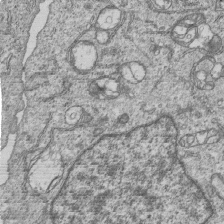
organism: Human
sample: MDA-MB-231 cells